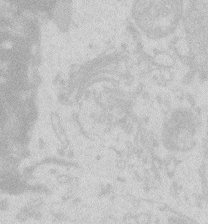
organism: Zebrafish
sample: Macrophage